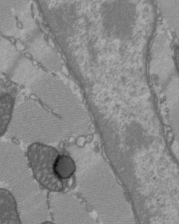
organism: C57BL Mouse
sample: Heart